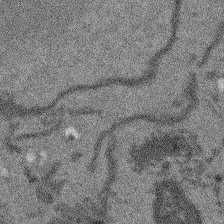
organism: Arabidopsis thaliana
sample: Root tip